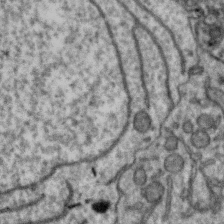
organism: Zebra finch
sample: Brain